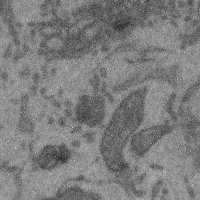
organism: Mouse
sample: Cerebral cortex